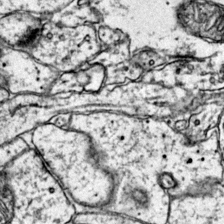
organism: Mouse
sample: Primary visual cortex